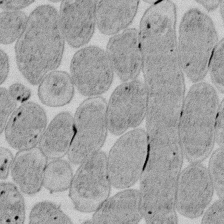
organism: E. coli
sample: Bacterial nucleoid